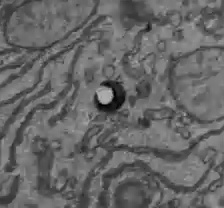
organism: C57BL Mouse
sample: Liver